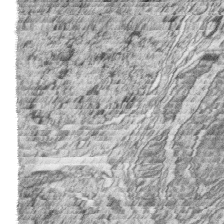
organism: Zebrafish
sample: synaptic ribbons in rod cells and cone cells